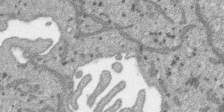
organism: Human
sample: Lung epithelial cells infected with SARS-CoV-2